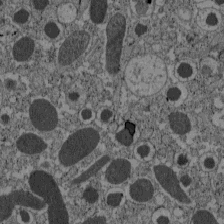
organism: C57BL Mouse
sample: Pancreatic islet